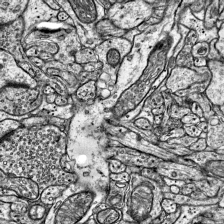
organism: Mouse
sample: Visual Cortex